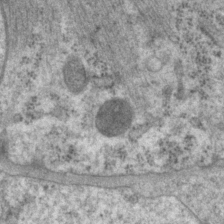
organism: P. pacificus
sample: Pharynx